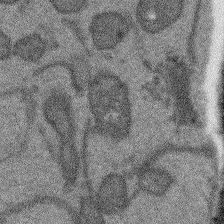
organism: Arabidopsis thaliana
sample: Root tip